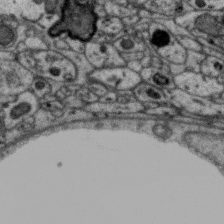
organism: Zebra finch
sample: Brain